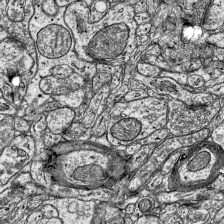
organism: Mouse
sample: Visual Cortex